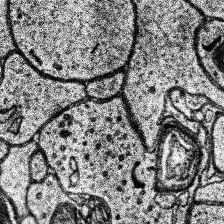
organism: Human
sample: Temporal Lobe